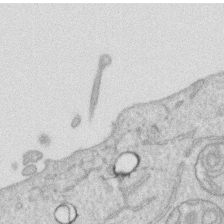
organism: Human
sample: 1205lu cells